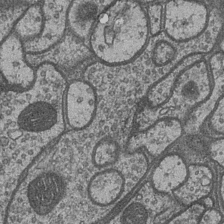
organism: Drosophila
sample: Optic medulla